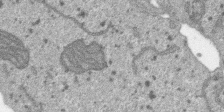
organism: Human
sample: Lung epithelial cells infected with SARS-CoV-2